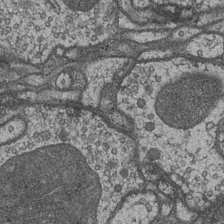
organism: Drosophila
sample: Optic medulla